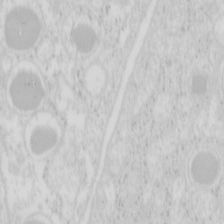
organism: Mouse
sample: Pancreas